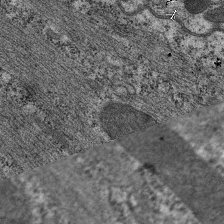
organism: C. elegans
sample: Pharynx